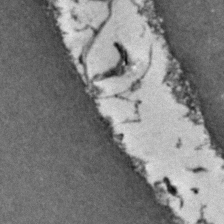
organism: Zebrafish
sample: Zebrafish embryo